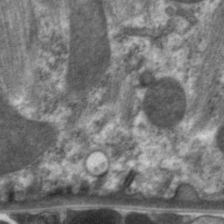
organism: C. elegans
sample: Pharynx